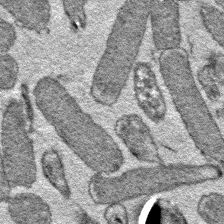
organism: E. coli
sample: E. Coli Bacteria